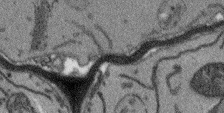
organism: Arabidopsis thaliana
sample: Root tip